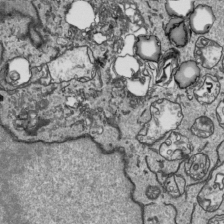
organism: Human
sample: Mitochondria in HCT116 cells